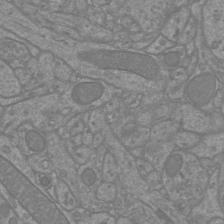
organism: Mouse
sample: Cortical neurons